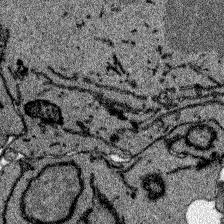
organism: Zebrafish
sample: Larval olfactory bulb